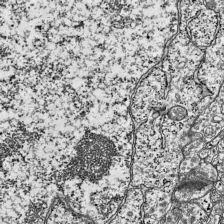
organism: Mouse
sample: Visual Cortex